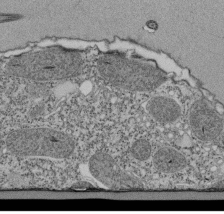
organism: Tetrahymena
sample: Cilia in tetrahymena